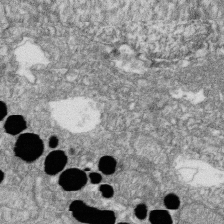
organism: Zebrafish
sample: Cilia; retinal pigment epithelium